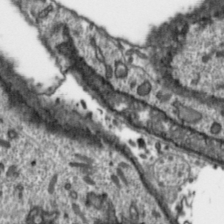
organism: Toxoplasma gondii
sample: Parasites in a vacuole inside a host cell